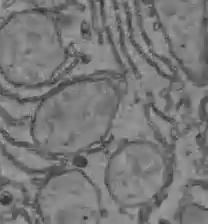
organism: C57BL Mouse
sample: Liver